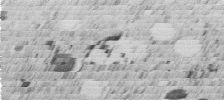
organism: C. elegans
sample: C. elegans embryo early stage